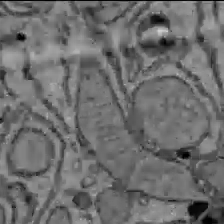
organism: C57BL Mouse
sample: Liver